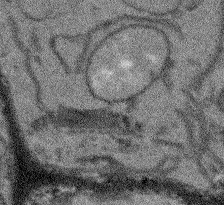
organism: Arabidopsis thaliana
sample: Root tip